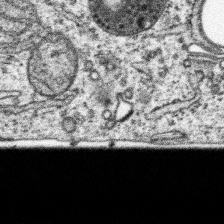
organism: Human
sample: HeLa cells